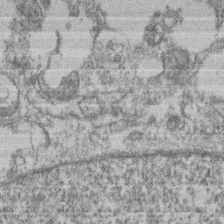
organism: Mouse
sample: T cell stromal cell synapse